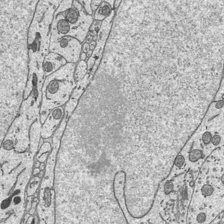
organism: Mouse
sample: Suprachiasmatic nucleus